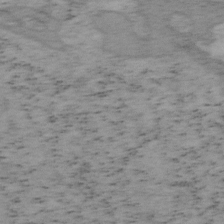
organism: Mouse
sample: OT-I killer T cells with ID8 ovarian cancer cells